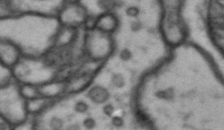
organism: Drosophila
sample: Brain